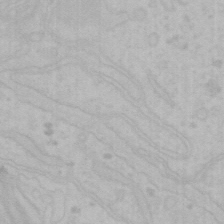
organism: Mouse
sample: Choroid plexus